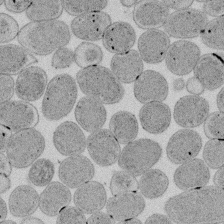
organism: E. coli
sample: Bacterial nucleoid